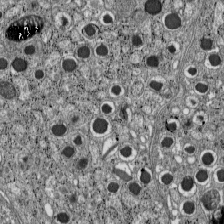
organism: C57BL Mouse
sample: Pancreatic islet